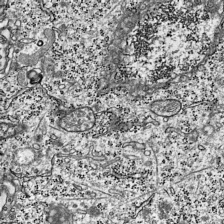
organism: Mouse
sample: Visual Cortex